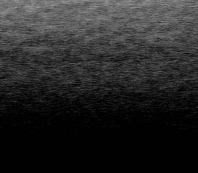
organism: Human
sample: HeLa cells